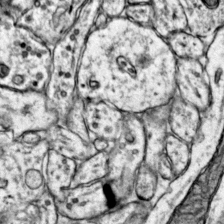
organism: Mouse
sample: Primary visual cortex